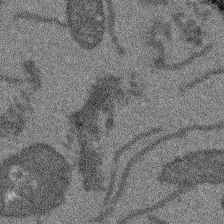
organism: Arabidopsis thaliana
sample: Root tip